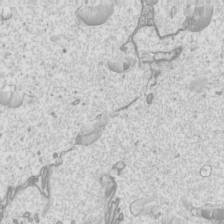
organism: Mouse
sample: Cilia; mouse epididymis